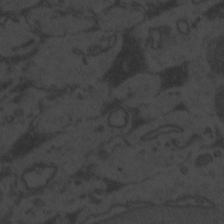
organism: Zebrafish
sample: Macrophage infected with Toxoplasma gondii